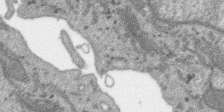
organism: Human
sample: Lung epithelial cells infected with SARS-CoV-2